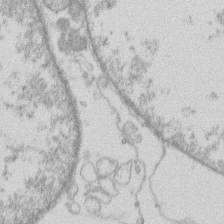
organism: Human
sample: Macrophage cells